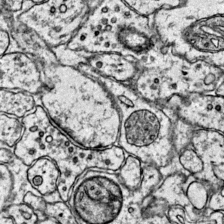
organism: Mouse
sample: Primary visual cortex